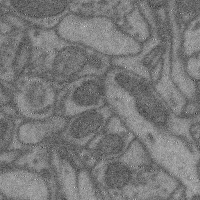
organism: Mouse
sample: Cerebral cortex